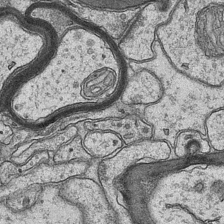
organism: Mouse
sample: CA1 Hippocampus